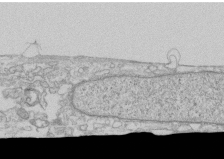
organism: Human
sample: CRL-1474